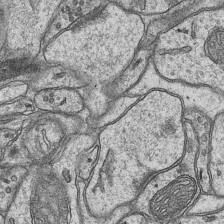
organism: Mouse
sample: CA1 Hippocampus